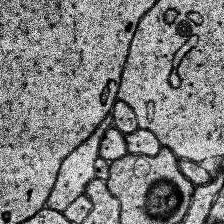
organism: Human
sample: Temporal Lobe